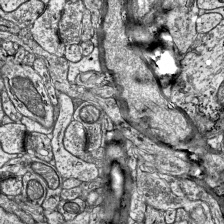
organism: Mouse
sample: Visual Cortex